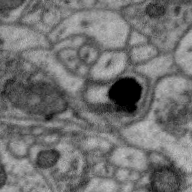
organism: Zebra finch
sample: Brain